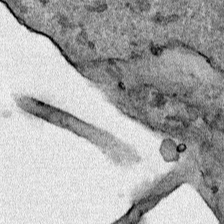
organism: Human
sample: Mitochondria in HCT116 cells